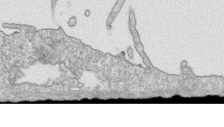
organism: Human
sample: HeLa cell HIV synapse